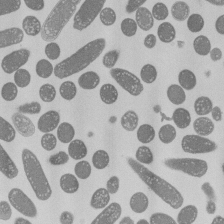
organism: E. coli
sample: Bacterial nucleoid